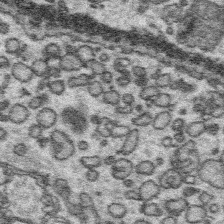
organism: Platynereis dumerilii